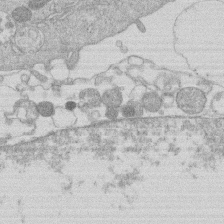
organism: Human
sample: Macrophage cells